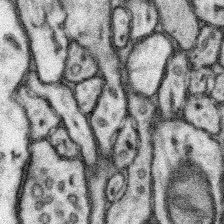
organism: Mouse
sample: Somatosensory cortex neuropil